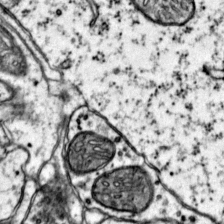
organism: Mouse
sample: Primary visual cortex